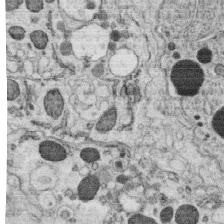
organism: C. elegans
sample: C. elegans oocyte; sperm cells